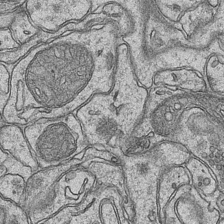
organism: Mouse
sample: CA1 Hippocampus